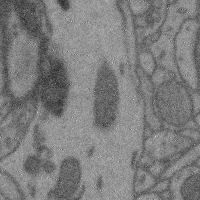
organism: Mouse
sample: Cerebral cortex